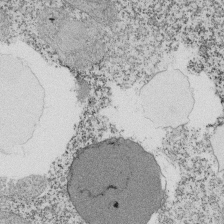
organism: Tetrahymena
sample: Cilia in tetrahymena